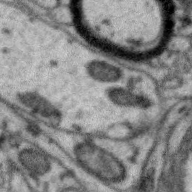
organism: Zebra finch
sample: Brain